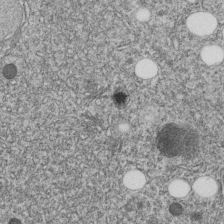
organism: C. elegans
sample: C. elegans embryo early stage